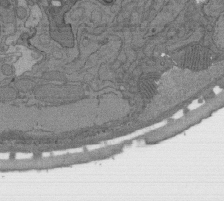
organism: C. elegans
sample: AFD neurons C. elegans